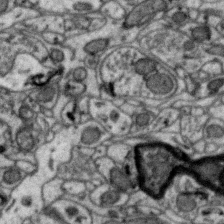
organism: Zebra finch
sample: Brain